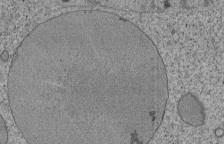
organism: Tetrahymena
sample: Cilia in tetrahymena